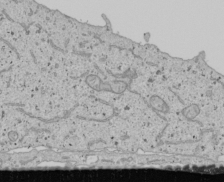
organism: Human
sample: Mitochondria in U2OS cells